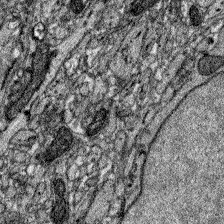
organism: Zebrafish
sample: Larval olfactory bulb